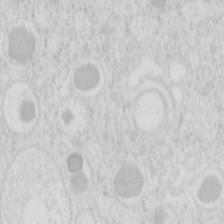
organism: Mouse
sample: Pancreas